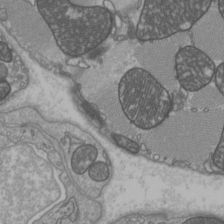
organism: C57BL Mouse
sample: Heart